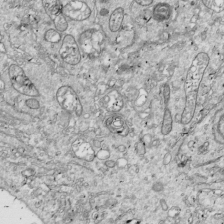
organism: Drosophila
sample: Cell division; meiosis; drosophila spermatocytes